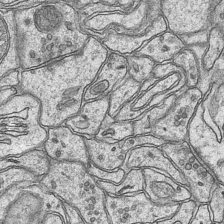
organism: Mouse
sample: CA1 Hippocampus